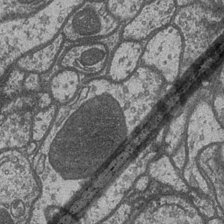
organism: Drosophila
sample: Optic medulla